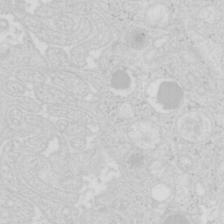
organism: Mouse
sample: Pancreas